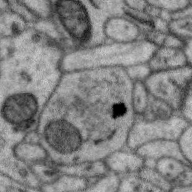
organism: Zebra finch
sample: Brain